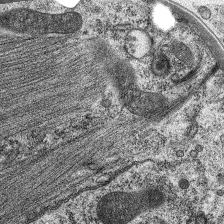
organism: C. elegans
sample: Pharynx